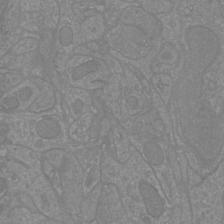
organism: Mouse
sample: Cortical neurons